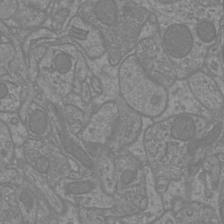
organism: Mouse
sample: Cortical neurons